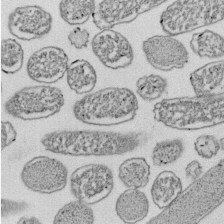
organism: E. coli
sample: Bacterial nucleoid